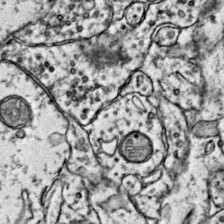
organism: Mouse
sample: Primary visual cortex